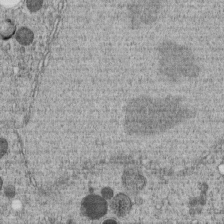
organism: C. elegans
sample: C. elegans embryo early stage